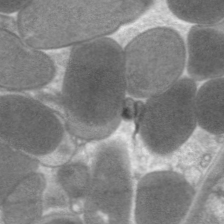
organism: C. elegans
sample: Pharynx